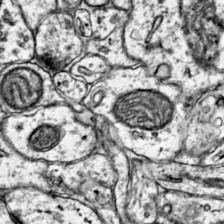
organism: Mouse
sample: Primary visual cortex